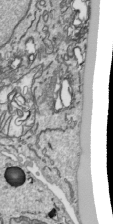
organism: Human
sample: Mitochondria in HCT116 cells